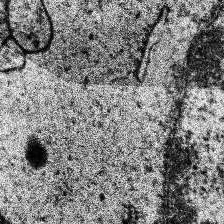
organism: Human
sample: Temporal Lobe